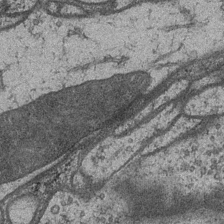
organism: Drosophila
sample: Optic medulla